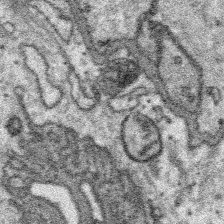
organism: Platynereis dumerilii